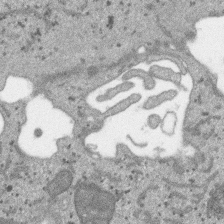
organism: Human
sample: Lung epithelial cells infected with SARS-CoV-2